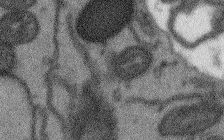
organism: Arabidopsis thaliana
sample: Root tip